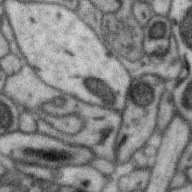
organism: Zebra finch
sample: Brain